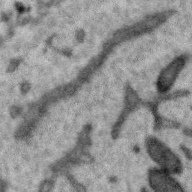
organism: Zebra finch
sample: Brain